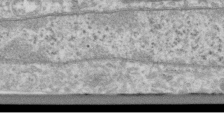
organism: Human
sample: Centriole in RPE cells